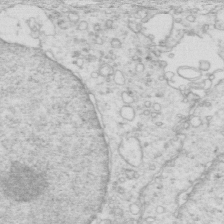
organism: Mouse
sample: Multiciliated cells